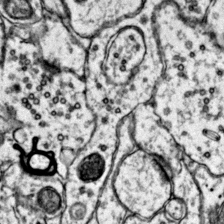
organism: Mouse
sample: Primary visual cortex